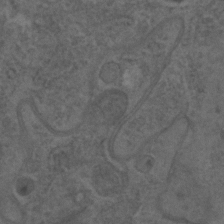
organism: C. elegans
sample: C. elegans embryo